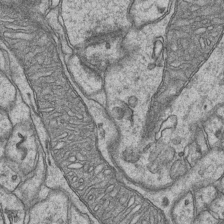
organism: Mouse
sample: CA1 Hippocampus